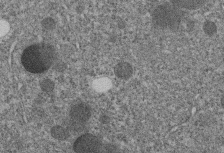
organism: C. elegans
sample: C. elegans embryo early stage